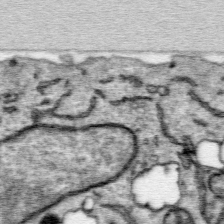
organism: Human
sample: HeLa cells